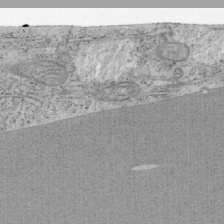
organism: Human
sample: HeLa cells